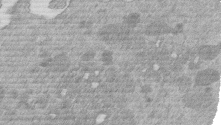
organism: Mouse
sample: Dividing mouse embryo 1 cell stage